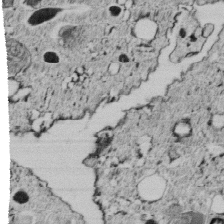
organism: C. elegans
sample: C. elegans embryo early stage